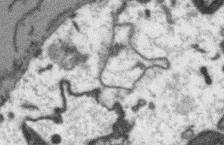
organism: Arabidopsis thaliana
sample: Root tip